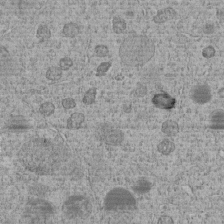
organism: C. elegans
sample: C. elegans embryo early stage